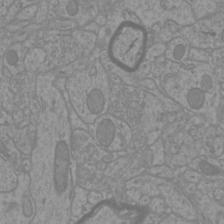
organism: Mouse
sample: Cortical neurons